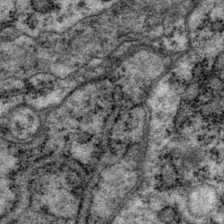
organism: P. pacificus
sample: Pharynx